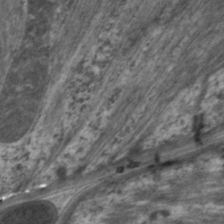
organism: C. elegans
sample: Pharynx